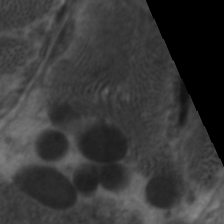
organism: C. elegans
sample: Pharynx